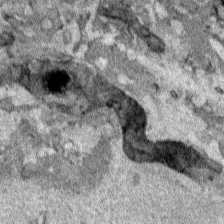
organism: Human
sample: Mitochondria in HCT116 cells